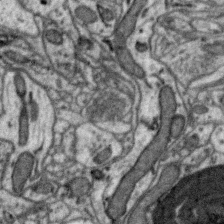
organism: Zebra finch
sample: Brain